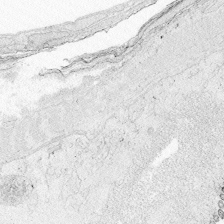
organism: Zebrafish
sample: Whole-Brain